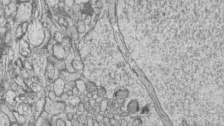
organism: Zebrafish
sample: synaptic ribbons in rod cells and cone cells